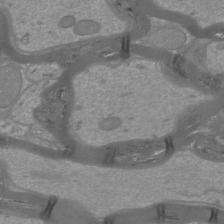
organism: Mouse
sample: Cortical neurons